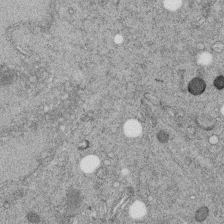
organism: C. elegans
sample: C. elegans embryo early stage